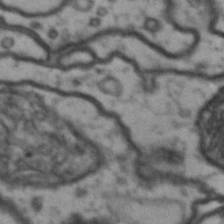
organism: Drosophila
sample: Brain